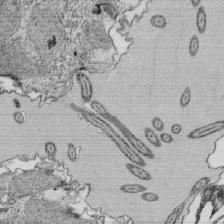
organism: Tetrahymena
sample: Cilia in tetrahymena